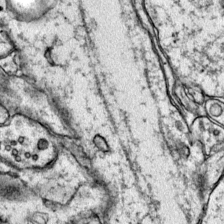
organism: Mouse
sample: Primary visual cortex